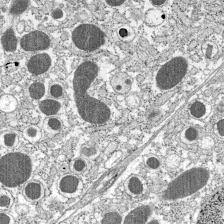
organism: C57BL Mouse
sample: Pancreatic islet